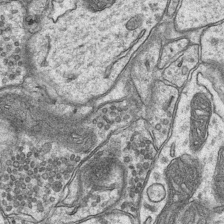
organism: Mouse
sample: CA1 Hippocampus